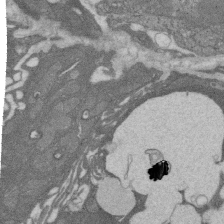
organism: Rat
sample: Salivary granule